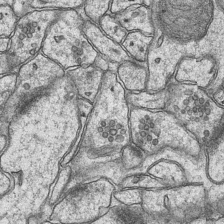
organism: Mouse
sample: CA1 Hippocampus